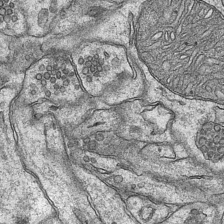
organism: Mouse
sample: CA1 Hippocampus